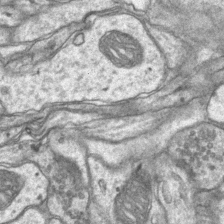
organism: Mouse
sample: CA1 Hippocampus